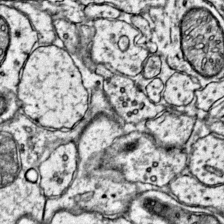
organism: Mouse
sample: Primary visual cortex